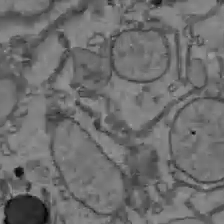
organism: C57BL Mouse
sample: Liver